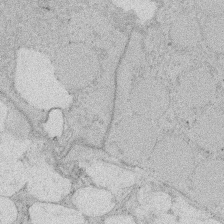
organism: Rat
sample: Salivary granule